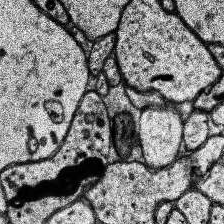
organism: Human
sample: Temporal Lobe